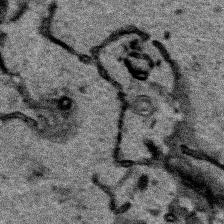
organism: Human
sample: Mitochondria in HCT116 cells